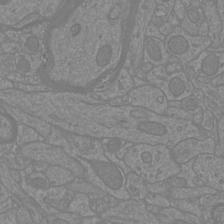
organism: Mouse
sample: Cortical neurons